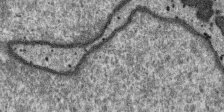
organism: Human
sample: Lung epithelial cells, uninfected (mock) control